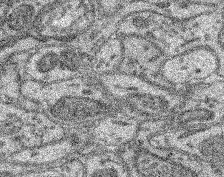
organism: Mouse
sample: Retina